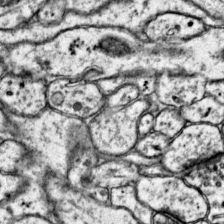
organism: Mouse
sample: Primary visual cortex